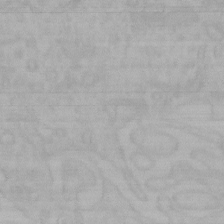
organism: Mouse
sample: Choroid plexus